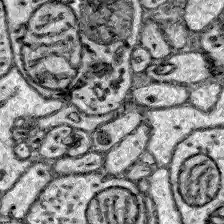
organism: Zebrafish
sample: Brain